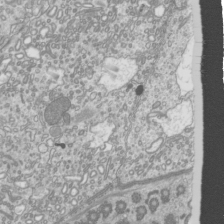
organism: Mouse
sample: Cilia; mouse epididymis